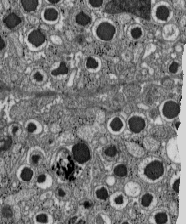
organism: C57BL Mouse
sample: Pancreatic islet